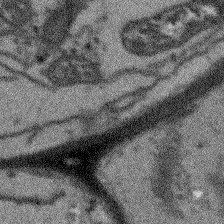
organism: Arabidopsis thaliana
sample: Root tip